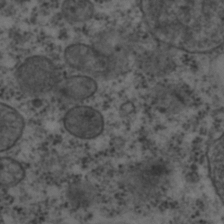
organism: C. elegans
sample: C. elegans embryo